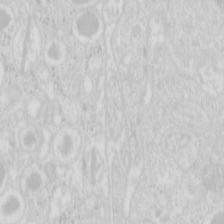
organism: Mouse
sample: Pancreas